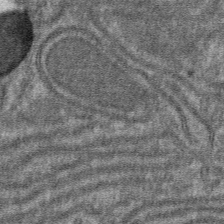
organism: Mouse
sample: Mouse hepatocytes